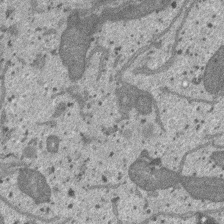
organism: Human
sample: Lung epithelial cells infected with SARS-CoV-2